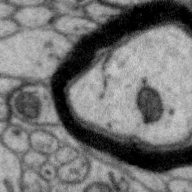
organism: Zebra finch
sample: Brain